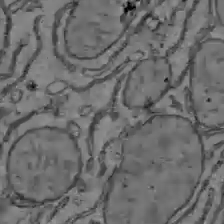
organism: C57BL Mouse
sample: Liver